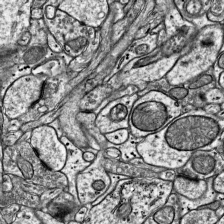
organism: Mouse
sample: Visual Cortex